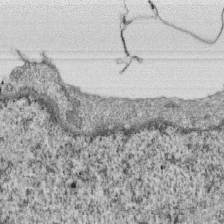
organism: African green monkey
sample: Vero E6 cells infected with SARS-CoV-2